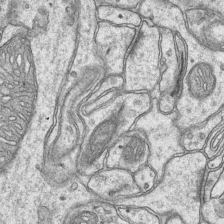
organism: Mouse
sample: CA1 Hippocampus